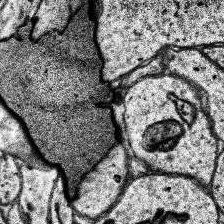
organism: Human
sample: Temporal Lobe